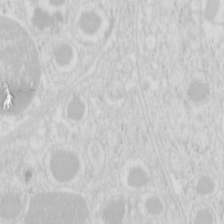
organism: Mouse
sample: Pancreas